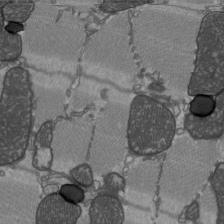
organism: C57BL Mouse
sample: Heart